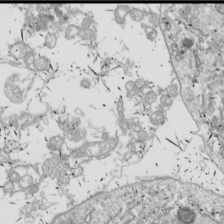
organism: Drosophila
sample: Cell division; meiosis; drosophila spermatocytes